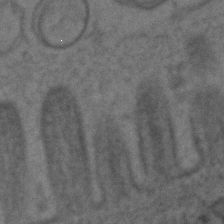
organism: C. elegans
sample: C. elegans embryo